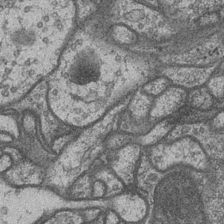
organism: Drosophila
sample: Optic medulla